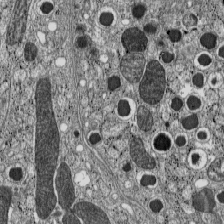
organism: C57BL Mouse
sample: Pancreatic islet